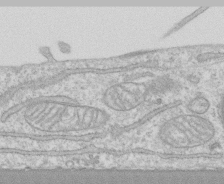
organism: Human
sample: CRL-1474